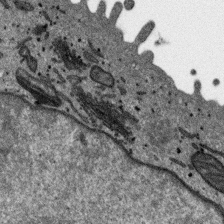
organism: Human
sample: Lung epithelial cells, uninfected (mock) control